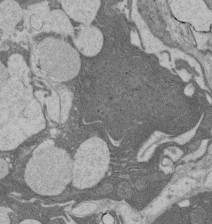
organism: Rat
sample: Salivary granule